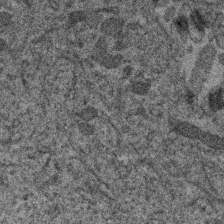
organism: Human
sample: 1205lu cells